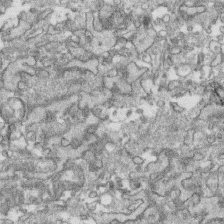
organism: Human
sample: CRL-1474